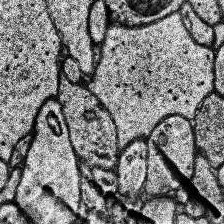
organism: Human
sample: Temporal Lobe